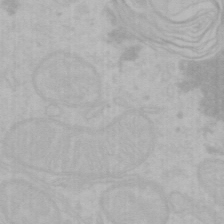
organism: Mouse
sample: Choroid plexus